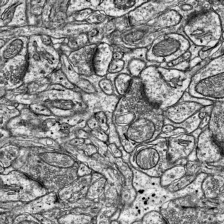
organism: Mouse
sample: Visual Cortex